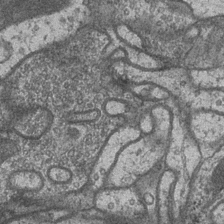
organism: Drosophila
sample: Optic medulla